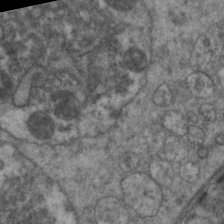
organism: C. elegans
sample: Pharynx